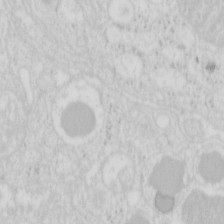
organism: Mouse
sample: Pancreas